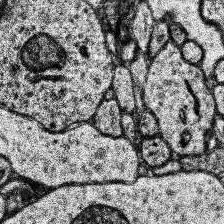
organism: Human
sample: Temporal Lobe